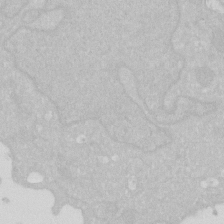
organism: Human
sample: HIV infected U937 cells